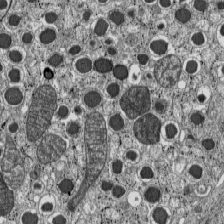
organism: C57BL Mouse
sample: Pancreatic islet